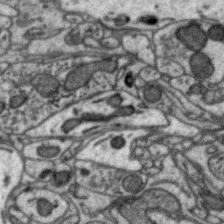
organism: Zebra finch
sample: Brain